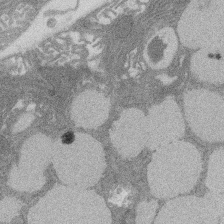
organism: Rat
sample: Salivary granule